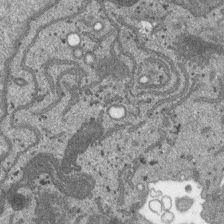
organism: Human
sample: Lung epithelial cells infected with SARS-CoV-2